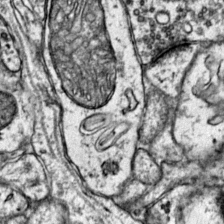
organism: Mouse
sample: Primary visual cortex